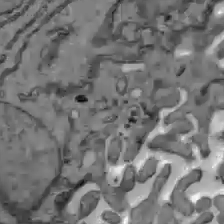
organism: C57BL Mouse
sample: Liver